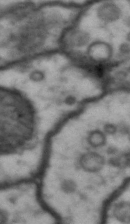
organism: Drosophila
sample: Brain